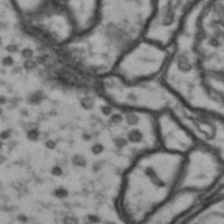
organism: Drosophila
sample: Brain